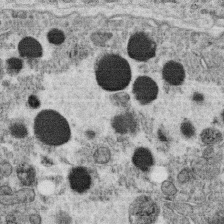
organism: C. elegans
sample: C. elegans oocyte; sperm cells